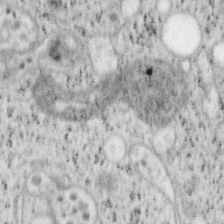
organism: Mouse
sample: OT-I killer T cells with ID8 ovarian cancer cells